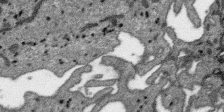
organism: Human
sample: Lung epithelial cells, uninfected (mock) control